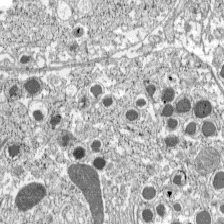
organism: C57BL Mouse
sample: Pancreatic islet